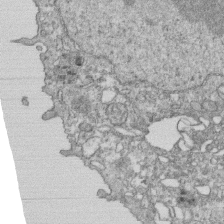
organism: Human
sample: HeLa cell HIV synapse